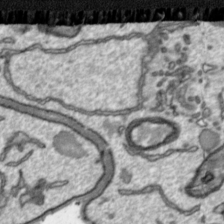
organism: Toxoplasma gondii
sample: Parasites in a vacuole inside a host cell